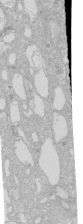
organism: Human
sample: Caco-2 cells